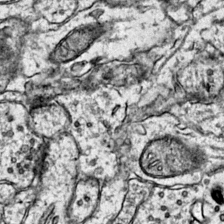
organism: Mouse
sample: Primary visual cortex